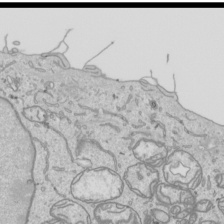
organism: Human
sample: Mitochondria in HCT116 cells